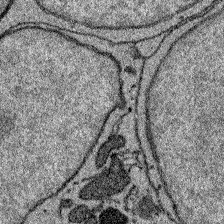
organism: Zebrafish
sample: Larval olfactory bulb